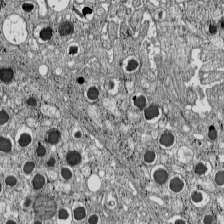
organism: C57BL Mouse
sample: Pancreatic islet